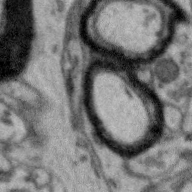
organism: Zebra finch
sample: Brain